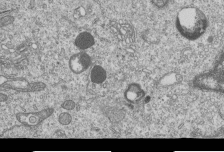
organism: Human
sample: MDA-MB-231 cells